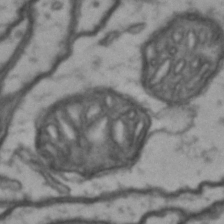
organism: Drosophila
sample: Brain